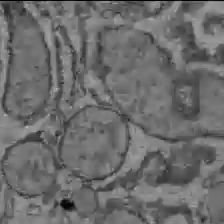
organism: C57BL Mouse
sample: Liver